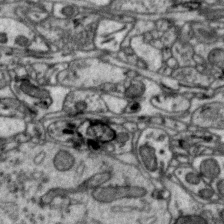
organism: Zebra finch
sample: Brain